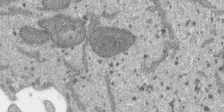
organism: Human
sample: Lung epithelial cells infected with SARS-CoV-2